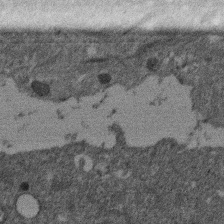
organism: Mouse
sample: Dividing mouse embryo 1 cell stage